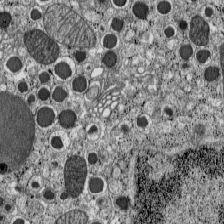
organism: C57BL Mouse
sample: Pancreatic islet